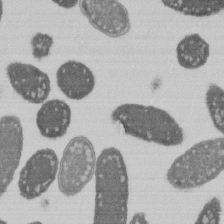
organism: E. coli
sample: Bacterial nucleoid